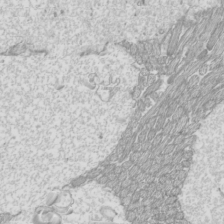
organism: Mouse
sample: Cilia; mouse epididymis